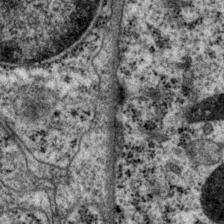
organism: P. pacificus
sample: Pharynx